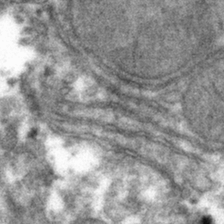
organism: Mouse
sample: Mouse hepatocytes